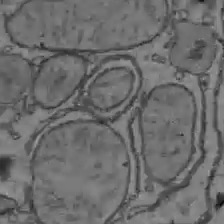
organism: C57BL Mouse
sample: Liver